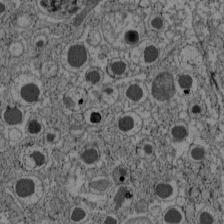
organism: C57BL Mouse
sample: Pancreatic islet